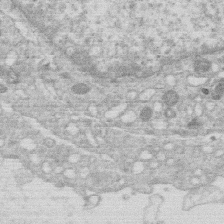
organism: Human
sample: Macrophage cells